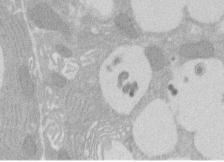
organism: Rat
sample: Salivary granule